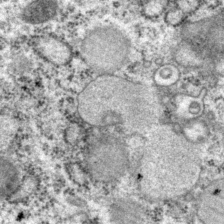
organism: P. pacificus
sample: Pharynx